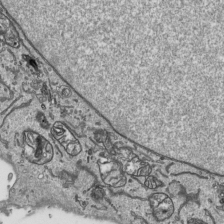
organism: Human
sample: Mitochondria in HCT116 cells